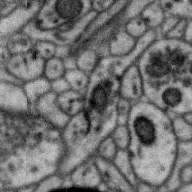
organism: Zebra finch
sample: Brain